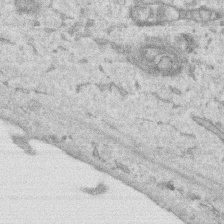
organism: Human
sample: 1205lu cells